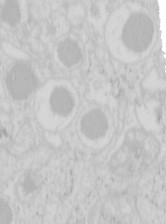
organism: Mouse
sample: Pancreas